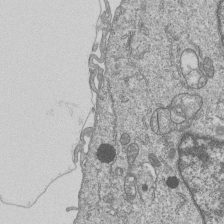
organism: Human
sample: MDA-MB-231 cells